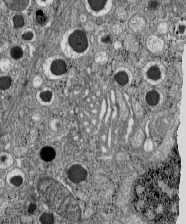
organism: C57BL Mouse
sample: Pancreatic islet